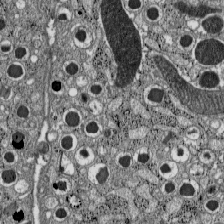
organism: C57BL Mouse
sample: Pancreatic islet